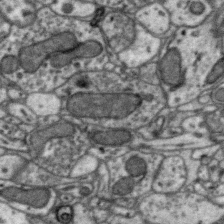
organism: Zebra finch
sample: Brain